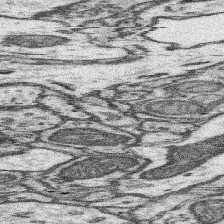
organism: Mouse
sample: Somatosensory cortex neuropil